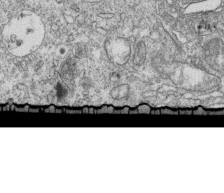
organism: Human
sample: HeLa cell HIV synapse